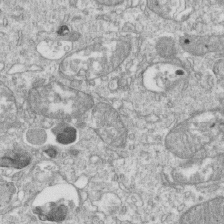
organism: Mouse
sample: Activated OT-1 CD8+ T cells